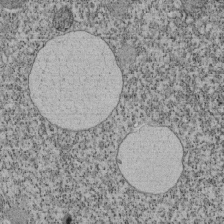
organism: Tetrahymena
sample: Cilia in tetrahymena